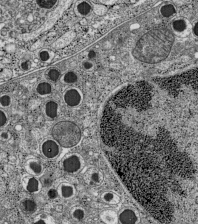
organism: C57BL Mouse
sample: Pancreatic islet